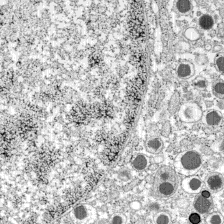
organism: C57BL Mouse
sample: Pancreatic islet